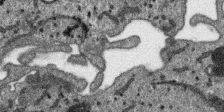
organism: Human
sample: Lung epithelial cells infected with SARS-CoV-2